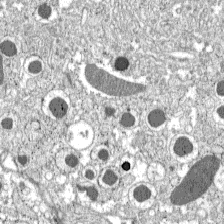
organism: C57BL Mouse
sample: Pancreatic islet